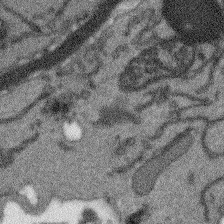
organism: Arabidopsis thaliana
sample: Root tip